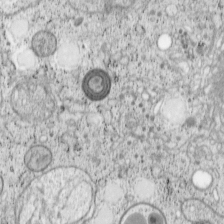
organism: African green monkey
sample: COS-7 cells